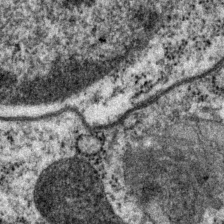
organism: P. pacificus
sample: Pharynx